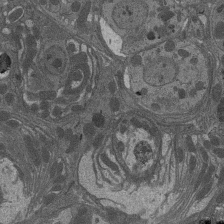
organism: Drosophila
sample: Antenna